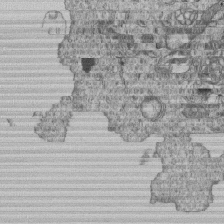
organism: Human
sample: MDA-MB-231 cells